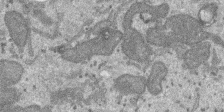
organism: Human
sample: Lung epithelial cells infected with SARS-CoV-2